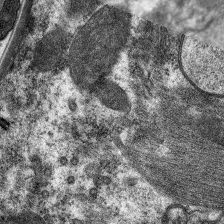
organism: C. elegans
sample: Pharynx